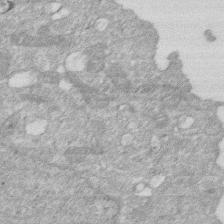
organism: Human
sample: HIV infected U937 cells